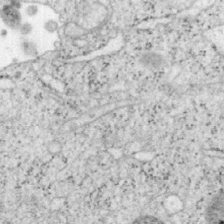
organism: Mouse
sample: OT-I killer T cells with ID8 ovarian cancer cells